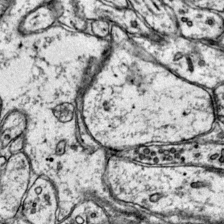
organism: Mouse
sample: Primary visual cortex